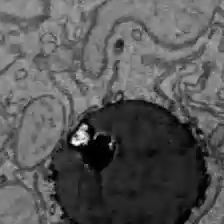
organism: C57BL Mouse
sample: Liver